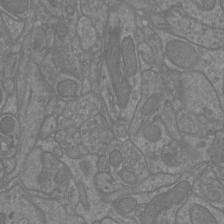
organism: Mouse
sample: Cortical neurons